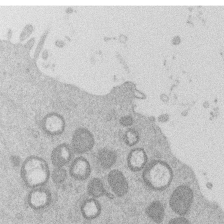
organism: Mouse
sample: Dividing mouse embryo 1 cell stage